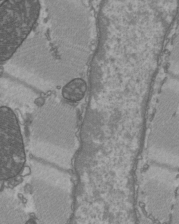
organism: C57BL Mouse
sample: Heart